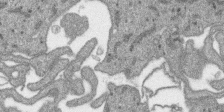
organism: Human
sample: Lung epithelial cells infected with SARS-CoV-2